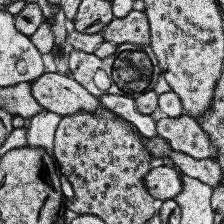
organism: Human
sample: Temporal Lobe